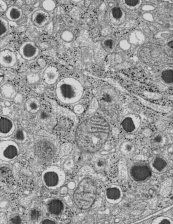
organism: C57BL Mouse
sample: Pancreatic islet